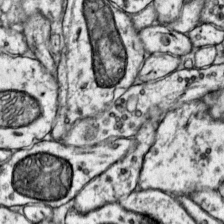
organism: Mouse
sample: Primary visual cortex